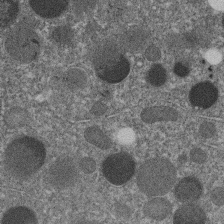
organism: C. elegans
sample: C. elegans embryo early stage